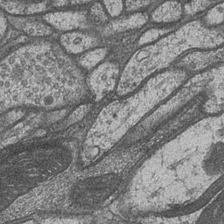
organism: Drosophila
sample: Optic medulla